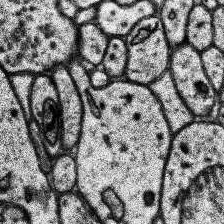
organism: Human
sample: Temporal Lobe